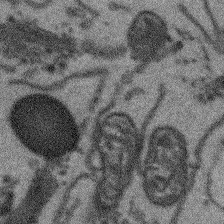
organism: Arabidopsis thaliana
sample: Root tip